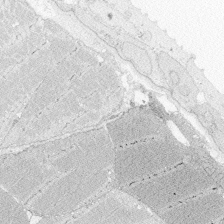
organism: Zebrafish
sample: Whole-Brain